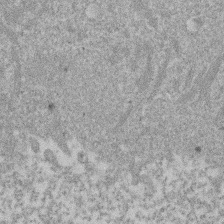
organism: Mouse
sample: Dividing mouse embryo 1 cell stage